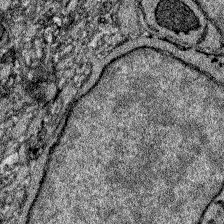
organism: Zebrafish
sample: Larval olfactory bulb